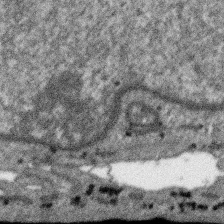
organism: Human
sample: Lung epithelial cells infected with SARS-CoV-2